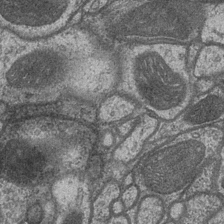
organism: Drosophila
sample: Optic medulla